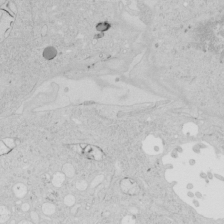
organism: Human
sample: Mitochondria in HCT116 cells